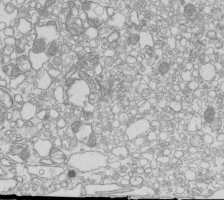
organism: Mouse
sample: Macrophages